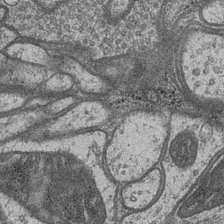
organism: Drosophila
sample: Optic medulla